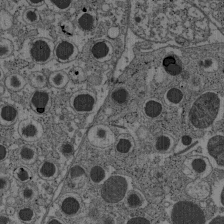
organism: C57BL Mouse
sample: Pancreatic islet